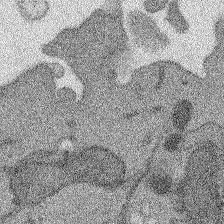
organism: Human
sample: HeLa cells